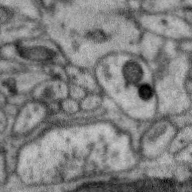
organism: Zebra finch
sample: Brain